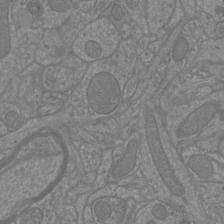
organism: Mouse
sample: Cortical neurons